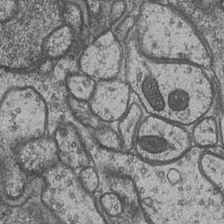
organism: Drosophila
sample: Optic medulla